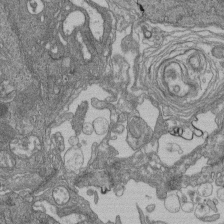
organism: Human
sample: Retinal organoid Rod and Cone cells